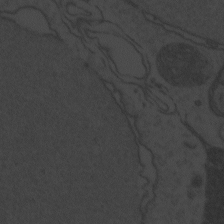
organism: Zebrafish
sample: Macrophage infected with Toxoplasma gondii